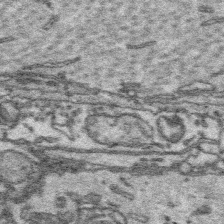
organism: Platynereis dumerilii